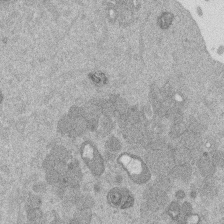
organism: Mouse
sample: Dividing mouse embryo 1 cell stage